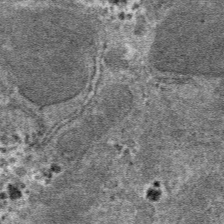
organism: Mouse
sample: Mouse hepatocytes